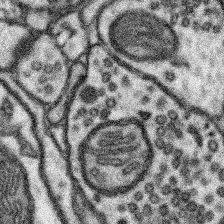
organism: Mouse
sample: Somatosensory cortex neuropil